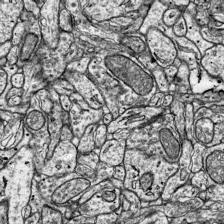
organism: Mouse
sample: Visual Cortex